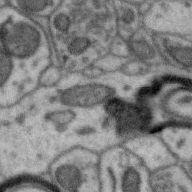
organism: Zebra finch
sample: Brain